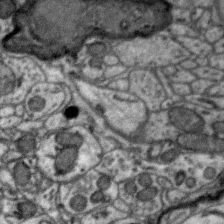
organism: Zebra finch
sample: Brain